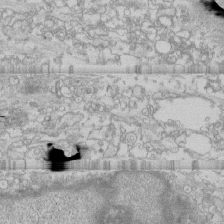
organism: Human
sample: CRL-1474